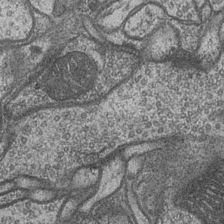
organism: Drosophila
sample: Optic medulla